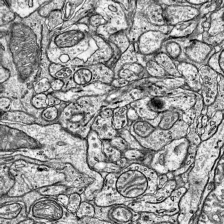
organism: Mouse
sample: Visual Cortex